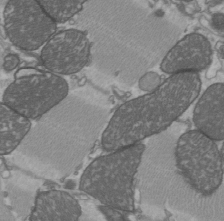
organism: C57BL Mouse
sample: Heart